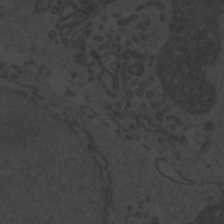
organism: Zebrafish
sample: Macrophage infected with Toxoplasma gondii